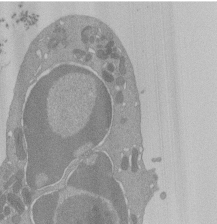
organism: Mouse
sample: Activated Pmel transgenic CD8+ T Cells